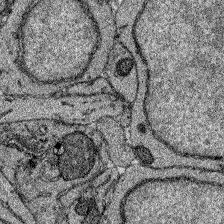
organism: Zebrafish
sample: Larval olfactory bulb